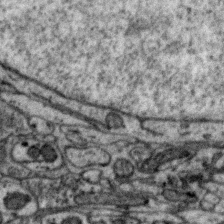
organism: Zebra finch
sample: Brain